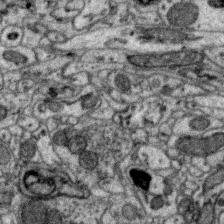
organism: Zebra finch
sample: Brain